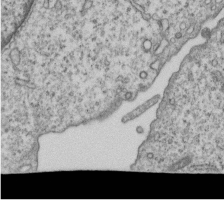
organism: Human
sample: MDA-MB-231 cells